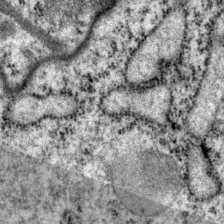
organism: P. pacificus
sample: Pharynx